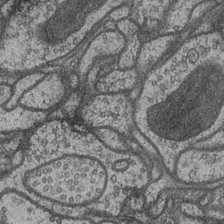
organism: Drosophila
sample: Optic medulla